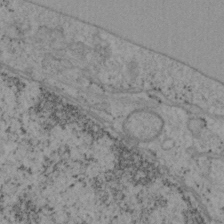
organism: Human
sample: HeLa cells